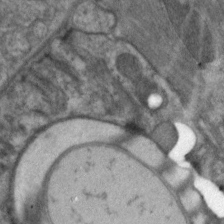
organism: C. elegans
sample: Pharynx